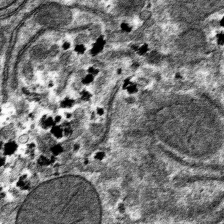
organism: Mouse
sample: Mouse hepatocytes